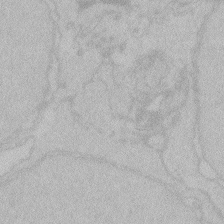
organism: Zebrafish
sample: Macrophage infected with Toxoplasma gondii